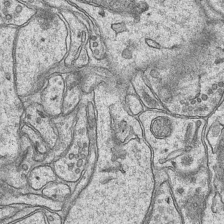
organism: Mouse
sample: CA1 Hippocampus